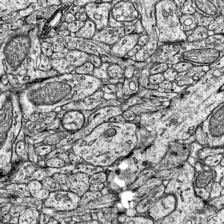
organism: Mouse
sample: Visual Cortex